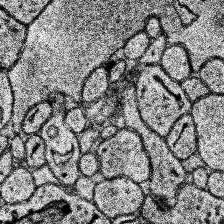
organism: Human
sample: Temporal Lobe